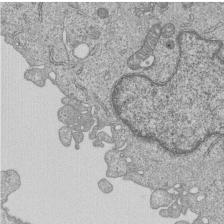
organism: Human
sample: MDA-MB-231 cells